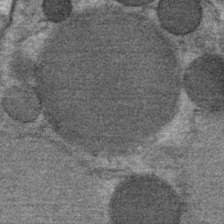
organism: Mouse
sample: Mouse Salivary gland